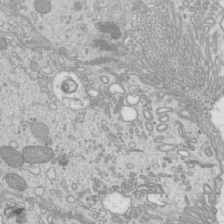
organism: Mouse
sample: Cilia; mouse epididymis